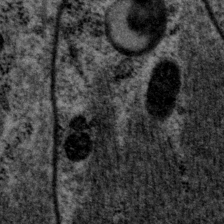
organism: P. pacificus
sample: Pharynx